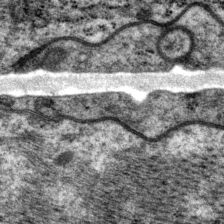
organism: P. pacificus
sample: Pharynx